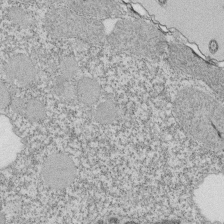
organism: Tetrahymena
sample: Cilia in tetrahymena